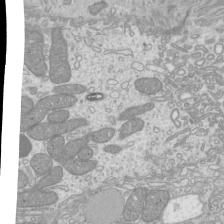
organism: Mouse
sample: Cilia; mouse epididymis